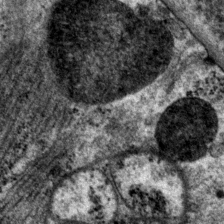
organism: P. pacificus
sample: Pharynx